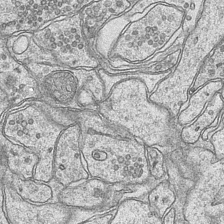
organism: Mouse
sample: CA1 Hippocampus